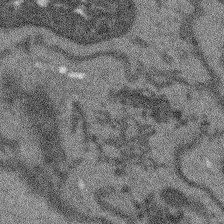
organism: Arabidopsis thaliana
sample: Root tip